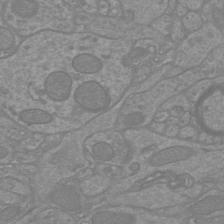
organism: Mouse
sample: Cortical neurons